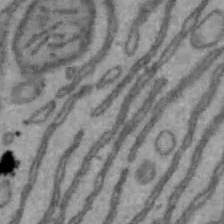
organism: Mouse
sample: Liver